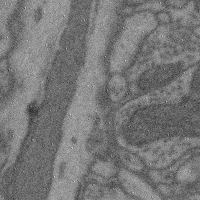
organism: Mouse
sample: Cerebral cortex